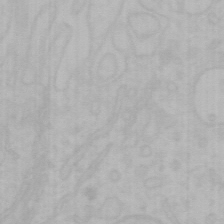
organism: Mouse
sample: Choroid plexus